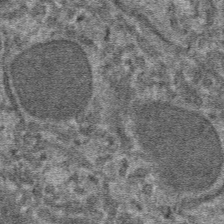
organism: Mouse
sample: Mouse hepatocytes